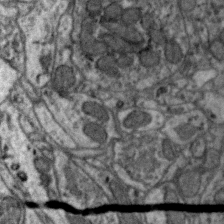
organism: Zebra finch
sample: Brain